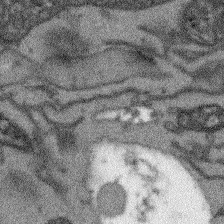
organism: Arabidopsis thaliana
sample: Root tip